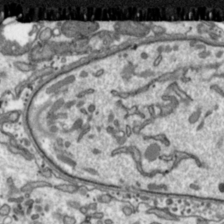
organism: Toxoplasma gondii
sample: Parasites in a vacuole inside a host cell